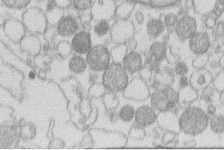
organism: Human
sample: Macrophage cells